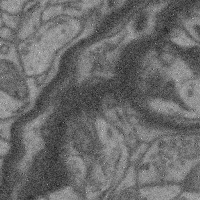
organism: Mouse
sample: Cerebral cortex